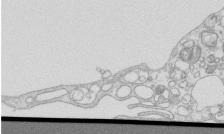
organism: Mouse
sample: Macrophages